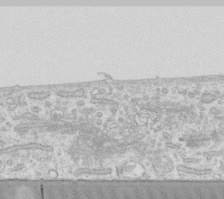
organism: Human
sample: Fibroblast cells